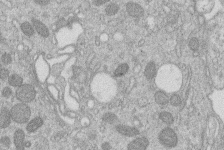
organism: Human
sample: Macrophage cells